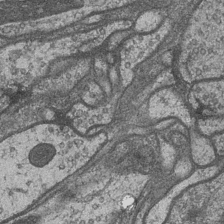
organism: Drosophila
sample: Optic medulla